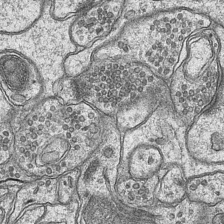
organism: Mouse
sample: CA1 Hippocampus